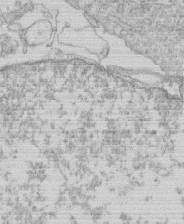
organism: Human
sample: Macrophage cells